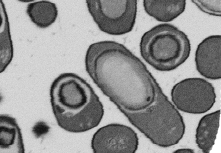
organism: B. subtilis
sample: Bacterial spore